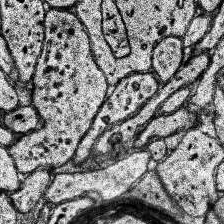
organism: Human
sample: Temporal Lobe